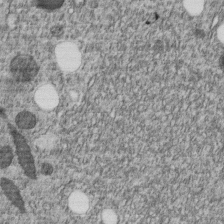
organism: C. elegans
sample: C. elegans embryo early stage